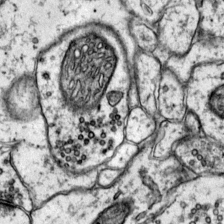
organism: Mouse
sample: Primary visual cortex